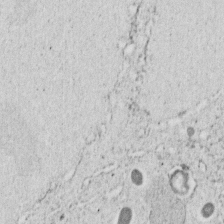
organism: C. elegans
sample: C. elegans embryo early stage